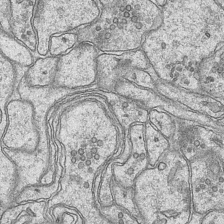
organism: Mouse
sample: CA1 Hippocampus